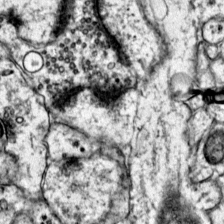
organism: Mouse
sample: Primary visual cortex